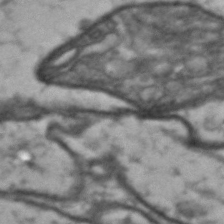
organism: Drosophila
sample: Brain